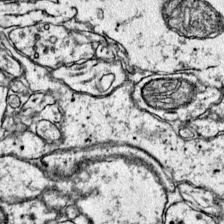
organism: Mouse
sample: Primary visual cortex